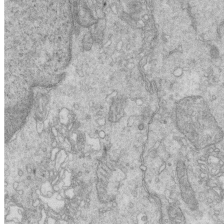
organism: Mouse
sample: Multiciliated cells